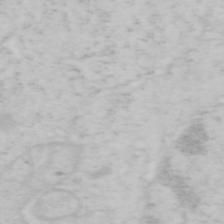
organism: Mouse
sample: OT-I killer T cells with ID8 ovarian cancer cells